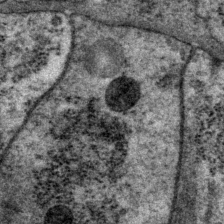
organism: P. pacificus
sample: Pharynx